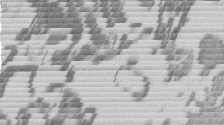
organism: Mouse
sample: Dividing mouse embryo 1 cell stage